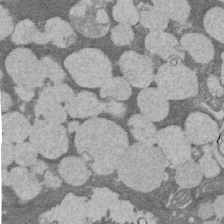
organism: Rat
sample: Salivary granule